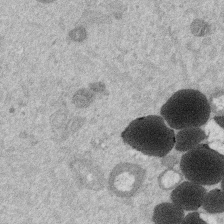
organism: Mouse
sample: Dividing mouse embryo 1 cell stage